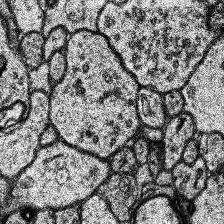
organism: Human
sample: Temporal Lobe